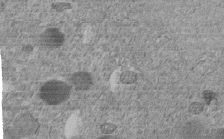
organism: C. elegans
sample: C. elegans embryo early stage